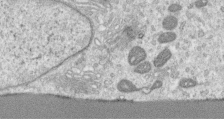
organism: Human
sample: Centriole in RPE cells